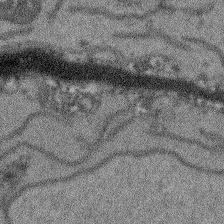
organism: Arabidopsis thaliana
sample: Root tip